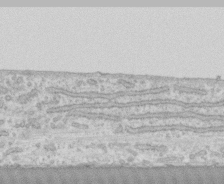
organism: Human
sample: CRL-1474